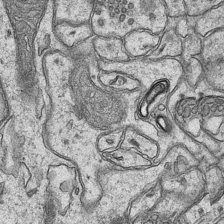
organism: Mouse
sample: CA1 Hippocampus